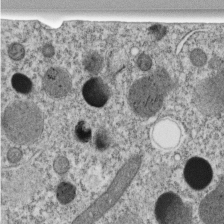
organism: C. elegans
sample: C. elegans embryo early stage